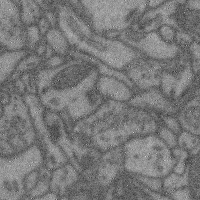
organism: Mouse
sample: Cerebral cortex